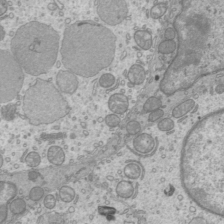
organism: Mouse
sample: Cilia; mouse epididymis